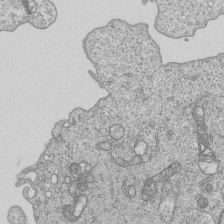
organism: Human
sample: MDA-MB-231 cells